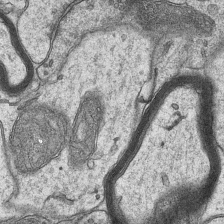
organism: Mouse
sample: CA1 Hippocampus